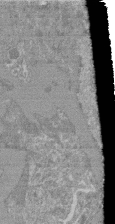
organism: Mouse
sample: Glomerulus